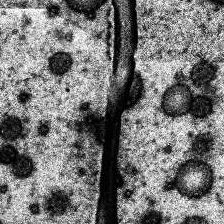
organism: Human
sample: Temporal Lobe